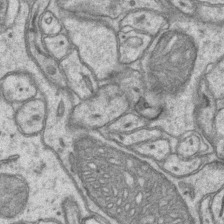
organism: Mouse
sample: CA1 Hippocampus